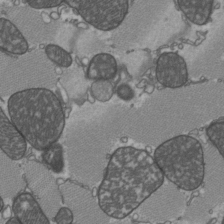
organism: C57BL Mouse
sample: Heart